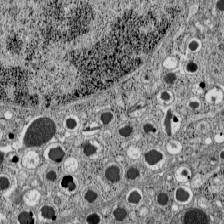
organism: C57BL Mouse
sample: Pancreatic islet